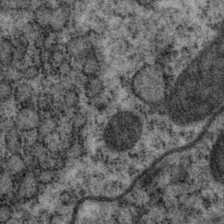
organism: P. pacificus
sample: Pharynx